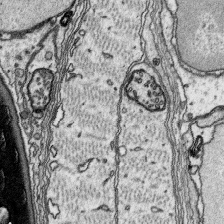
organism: Platynereis dumerilii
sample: Parapodia